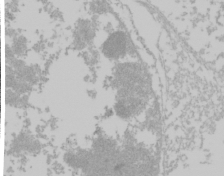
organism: Mouse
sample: Cancer cell death in ED-1 cells